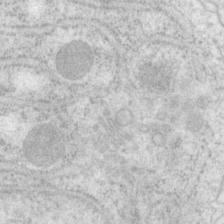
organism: P. pacificus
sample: Pharynx